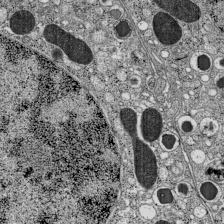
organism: C57BL Mouse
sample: Pancreatic islet